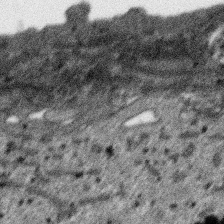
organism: Human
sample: Lung epithelial cells infected with SARS-CoV-2